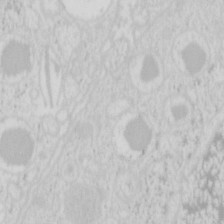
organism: Mouse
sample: Pancreas